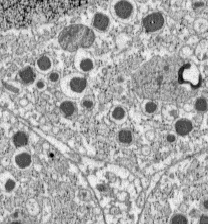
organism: C57BL Mouse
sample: Pancreatic islet